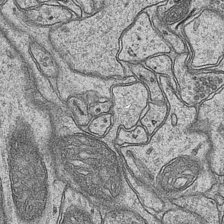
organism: Mouse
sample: CA1 Hippocampus